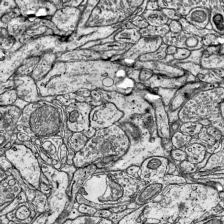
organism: Mouse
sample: Visual Cortex